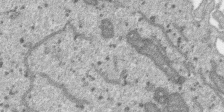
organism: Human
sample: Lung epithelial cells infected with SARS-CoV-2